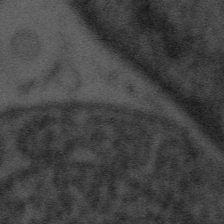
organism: Tuwongella immobilis